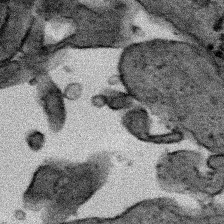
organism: Human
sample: Mitochondria in HCT116 cells